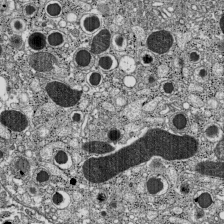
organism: C57BL Mouse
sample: Pancreatic islet